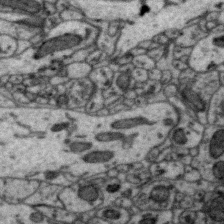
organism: Zebra finch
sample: Brain